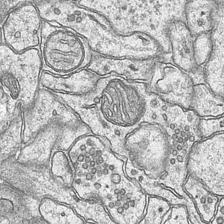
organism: Mouse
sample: CA1 Hippocampus